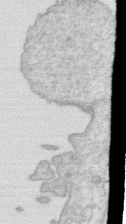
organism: Human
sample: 1205lu cells